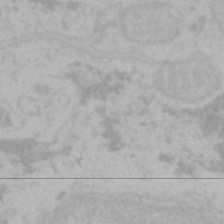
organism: Mouse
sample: Choroid plexus